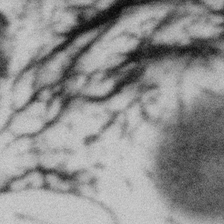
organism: Gemmata obscuriglobus